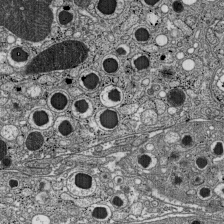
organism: C57BL Mouse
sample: Pancreatic islet